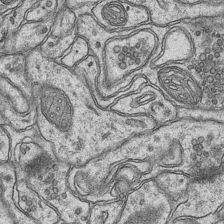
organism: Mouse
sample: CA1 Hippocampus